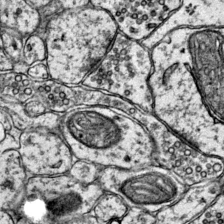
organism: Mouse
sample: Primary visual cortex